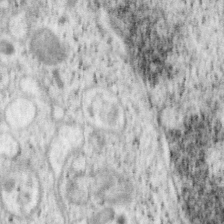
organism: Mouse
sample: OT-I killer T cells with ID8 ovarian cancer cells